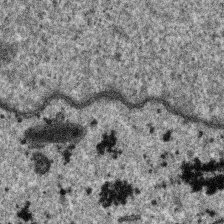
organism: Human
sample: Lung epithelial cells infected with SARS-CoV-2